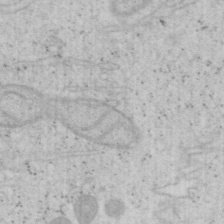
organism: Human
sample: HeLa cells